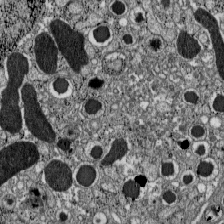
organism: C57BL Mouse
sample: Pancreatic islet